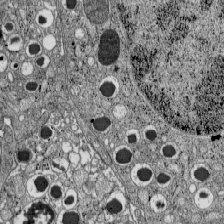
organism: C57BL Mouse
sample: Pancreatic islet